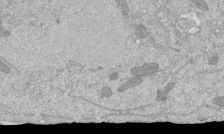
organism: Mouse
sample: ED-1 cell nuclei; centrioles